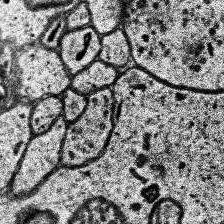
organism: Human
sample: Temporal Lobe